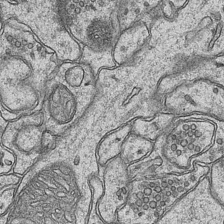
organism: Mouse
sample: CA1 Hippocampus